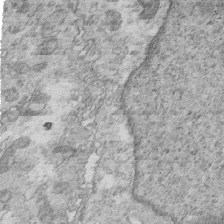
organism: Mouse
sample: Multiciliated cells